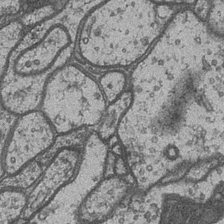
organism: Drosophila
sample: Optic medulla